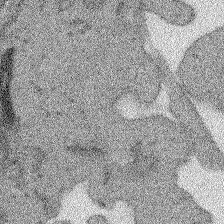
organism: Human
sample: HeLa cells